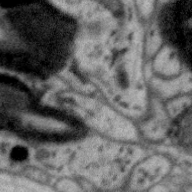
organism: Zebra finch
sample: Brain